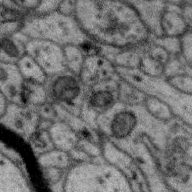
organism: Zebra finch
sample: Brain